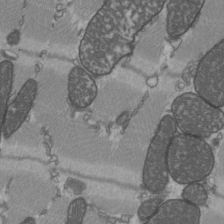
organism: C57BL Mouse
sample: Heart